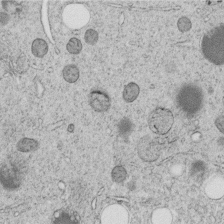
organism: C. elegans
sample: C. elegans embryo early stage